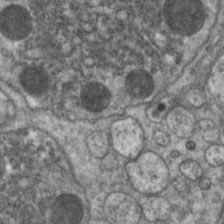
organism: C. elegans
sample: Pharynx